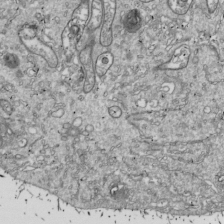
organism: Drosophila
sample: Cell division; meiosis; drosophila spermatocytes